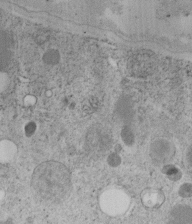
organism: C. elegans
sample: C. elegans embryo early stage